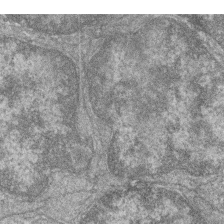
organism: Zebrafish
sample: Cilia; retinal pigment epithelium